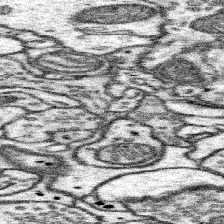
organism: Mouse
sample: Somatosensory cortex neuropil